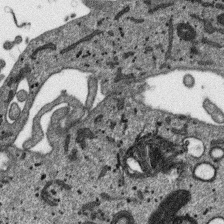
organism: Human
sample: Lung epithelial cells infected with SARS-CoV-2